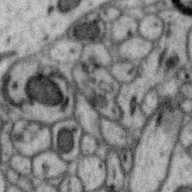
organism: Zebra finch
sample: Brain